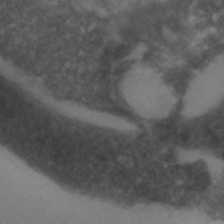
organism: C. elegans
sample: C. elegans embryo